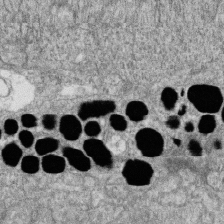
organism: Zebrafish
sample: Cilia; retinal pigment epithelium